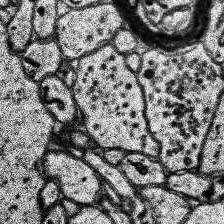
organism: Human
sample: Temporal Lobe